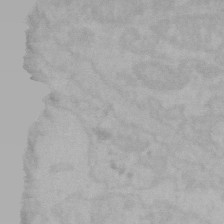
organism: Mouse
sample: Choroid plexus